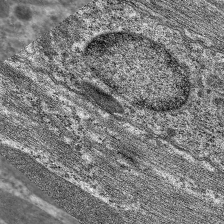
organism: C. elegans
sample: Pharynx